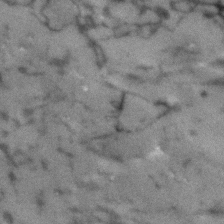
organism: Human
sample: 1205lu cells